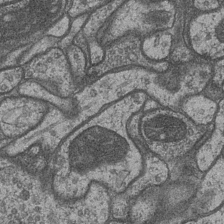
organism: Drosophila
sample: Optic medulla